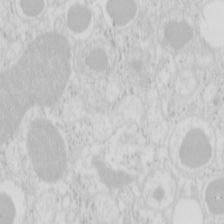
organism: Mouse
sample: Pancreas